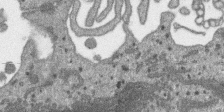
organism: Human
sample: Lung epithelial cells infected with SARS-CoV-2